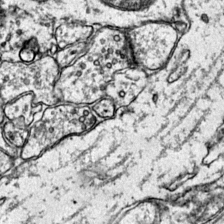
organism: Mouse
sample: Primary visual cortex